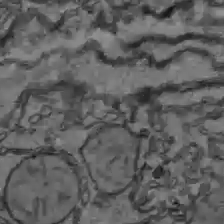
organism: C57BL Mouse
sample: Liver